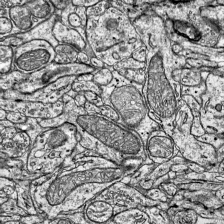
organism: Mouse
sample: Visual Cortex